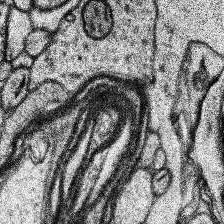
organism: Human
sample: Temporal Lobe